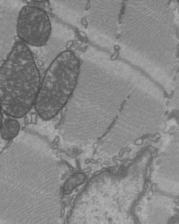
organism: C57BL Mouse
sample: Heart